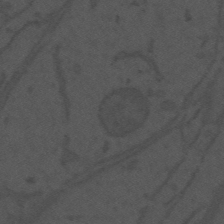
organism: Mouse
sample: Suprachiasmatic nucleus